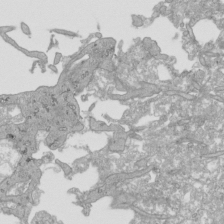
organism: Human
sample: Mitochondria in HCT116 cells